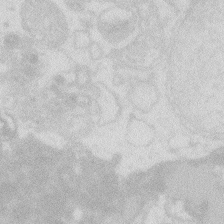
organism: Zebrafish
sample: Macrophage